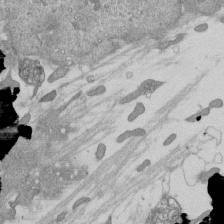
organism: Mouse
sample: ED-1 cell nuclei; centrioles